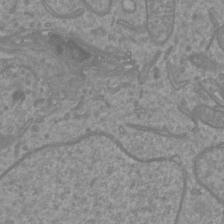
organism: Mouse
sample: Cortical neurons